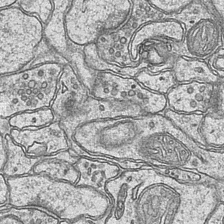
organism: Mouse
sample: CA1 Hippocampus